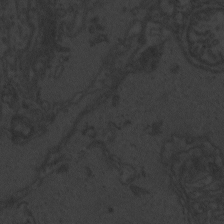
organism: Zebrafish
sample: Macrophage infected with Toxoplasma gondii